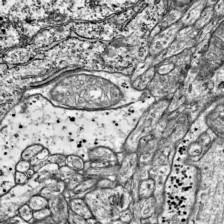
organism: Mouse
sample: Visual Cortex